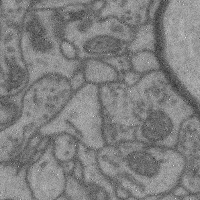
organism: Mouse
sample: Cerebral cortex